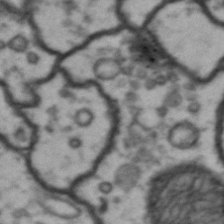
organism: Drosophila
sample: Brain